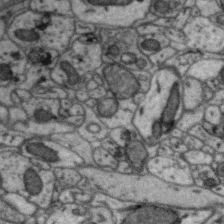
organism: Zebra finch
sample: Brain